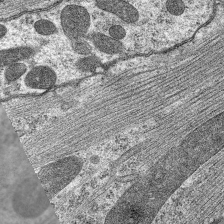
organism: C. elegans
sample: Pharynx